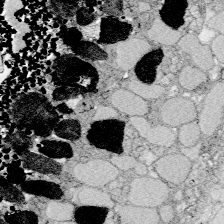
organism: Zebrafish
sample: Whole-Brain